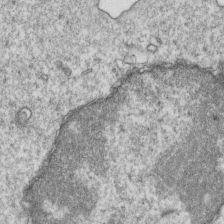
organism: Mouse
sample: Activated OT-1 CD8+ T cells